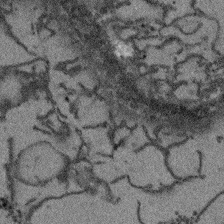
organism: Arabidopsis thaliana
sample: Root tip